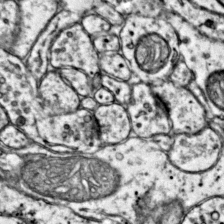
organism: Mouse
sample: Primary visual cortex